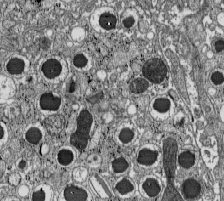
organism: C57BL Mouse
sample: Pancreatic islet